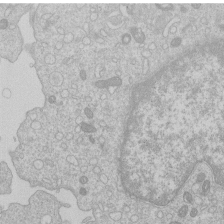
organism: Human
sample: Macrophage cells